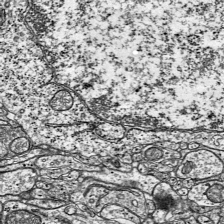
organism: Mouse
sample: Visual Cortex